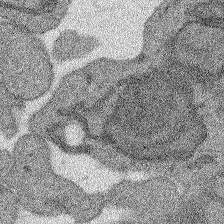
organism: Human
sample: HeLa cells